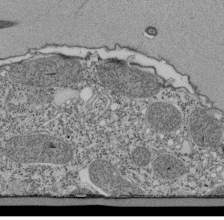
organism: Tetrahymena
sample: Cilia in tetrahymena